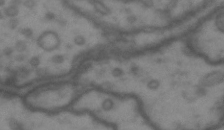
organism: Drosophila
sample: Brain